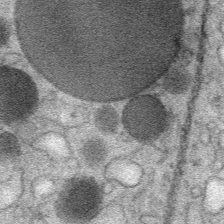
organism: Mouse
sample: Mouse Salivary gland